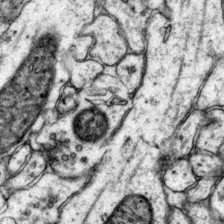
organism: Mouse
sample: Primary visual cortex